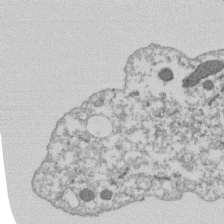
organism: Dictyostelium discoideum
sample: Dictyostelium multivesicular bodies